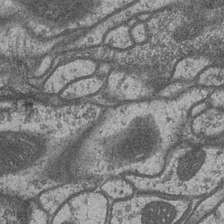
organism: Drosophila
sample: Optic medulla